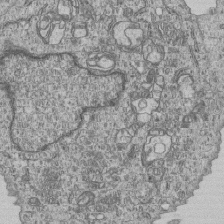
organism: Human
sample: MDA-MB-231 cells